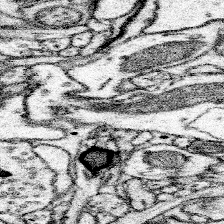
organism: Mouse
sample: Somatosensory cortex neuropil